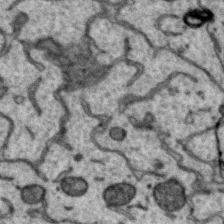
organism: Zebra finch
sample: Brain